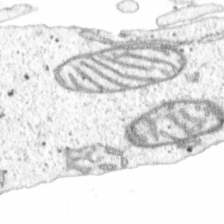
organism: Human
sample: HeLa cells